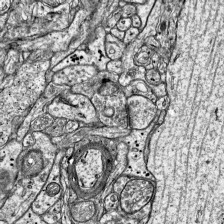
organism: Mouse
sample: Visual Cortex